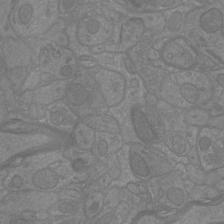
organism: Mouse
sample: Cortical neurons